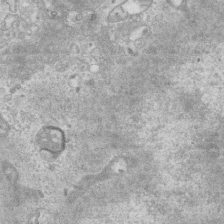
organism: Mouse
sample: Centriole in ependymal cells